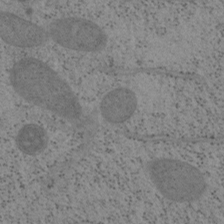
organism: Mouse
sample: OT-I killer T cells with ID8 ovarian cancer cells